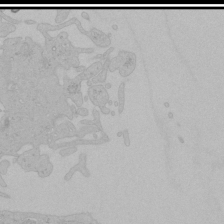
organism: Human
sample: Mitochondria in HCT116 cells